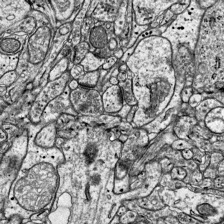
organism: Mouse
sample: Visual Cortex